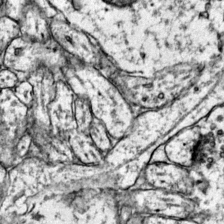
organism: Mouse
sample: Primary visual cortex